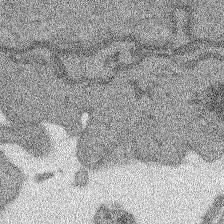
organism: Human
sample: HeLa cells